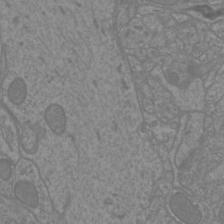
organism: Mouse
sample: Cortical neurons